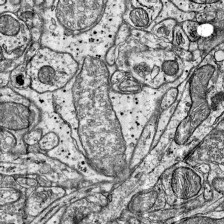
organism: Mouse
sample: Visual Cortex